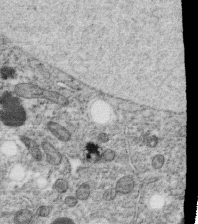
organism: C. elegans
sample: C. elegans oocyte; sperm cells